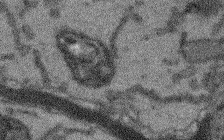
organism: Arabidopsis thaliana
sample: Root tip